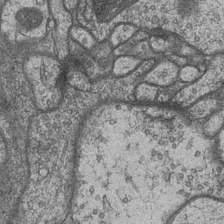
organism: Drosophila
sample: Optic medulla